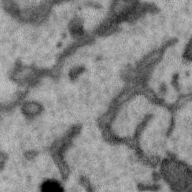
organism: Zebra finch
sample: Brain